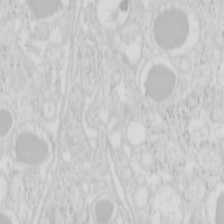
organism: Mouse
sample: Pancreas